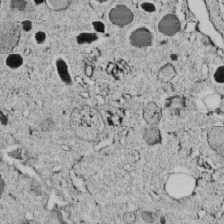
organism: C. elegans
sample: C. elegans embryo early stage